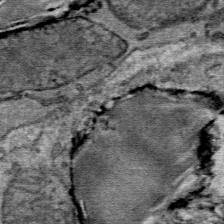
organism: Mouse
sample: Mouse Salivary gland